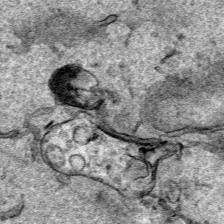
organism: Human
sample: Mitochondria in HCT116 cells